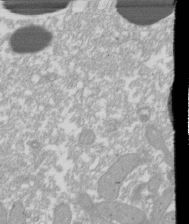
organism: Xenopus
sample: Cilia; centrioles in frog embryo cells